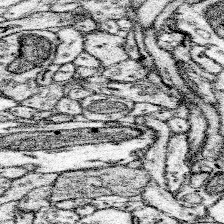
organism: Mouse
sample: Somatosensory cortex neuropil